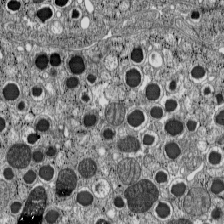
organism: C57BL Mouse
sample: Pancreatic islet